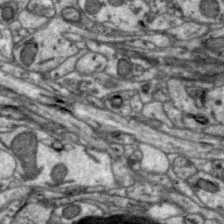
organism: Zebra finch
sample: Brain